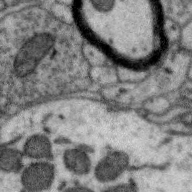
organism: Zebra finch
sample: Brain